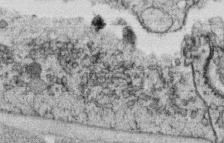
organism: C. elegans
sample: C. elegans oocyte; sperm cells